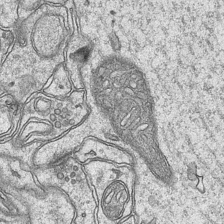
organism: Mouse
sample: CA1 Hippocampus